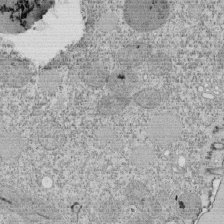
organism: Tetrahymena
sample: Cilia in tetrahymena